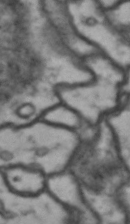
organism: Drosophila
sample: Brain